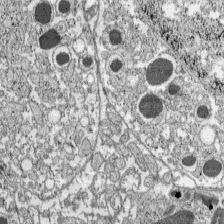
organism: C57BL Mouse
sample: Pancreatic islet